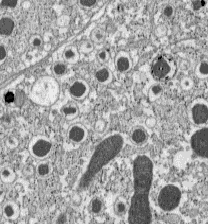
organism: C57BL Mouse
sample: Pancreatic islet